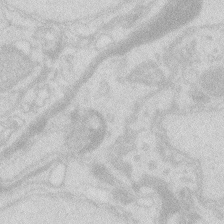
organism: Zebrafish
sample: Macrophage